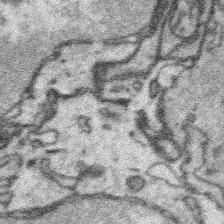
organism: Platynereis dumerilii